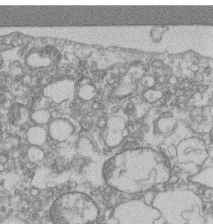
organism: Mouse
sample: T cell stromal cell synapse